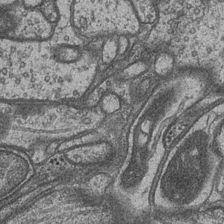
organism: Drosophila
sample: Optic medulla